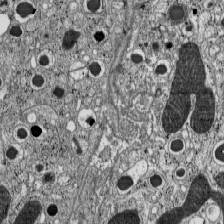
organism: C57BL Mouse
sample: Pancreatic islet